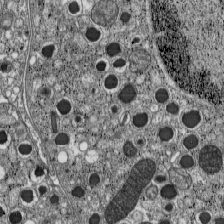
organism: C57BL Mouse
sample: Pancreatic islet